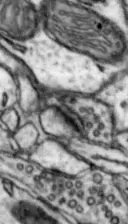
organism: Mouse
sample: Nucleus accumbens